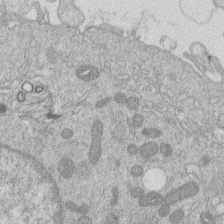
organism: Human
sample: Macrophage cells